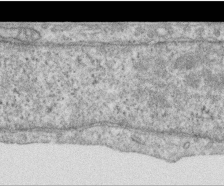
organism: Human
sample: Centriole in RPE cells